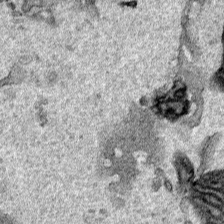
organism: Human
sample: Mitochondria in HCT116 cells